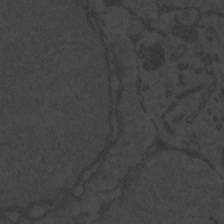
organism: Zebrafish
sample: Macrophage infected with Toxoplasma gondii